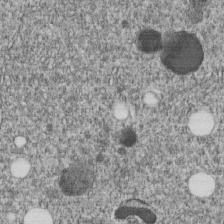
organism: C. elegans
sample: C. elegans embryo early stage